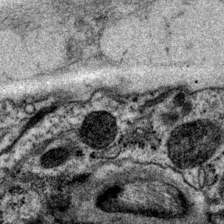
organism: P. pacificus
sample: Pharynx